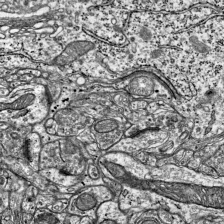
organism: Mouse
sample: Visual Cortex